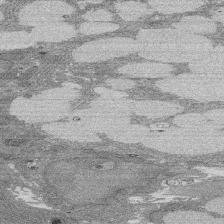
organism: Rat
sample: Salivary granule